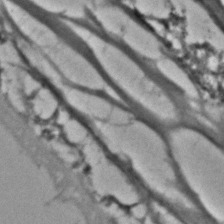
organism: C. elegans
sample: C. elegans embryo